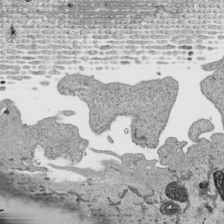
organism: Human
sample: Mitochondria in HCT116 cells